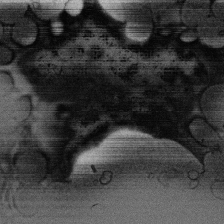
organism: Rat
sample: Salivary granule